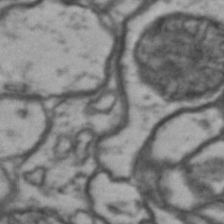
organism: Drosophila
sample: Brain